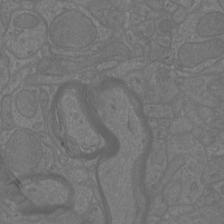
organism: Mouse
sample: Cortical neurons